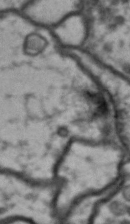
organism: Drosophila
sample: Brain